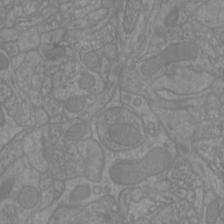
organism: Mouse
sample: Cortical neurons